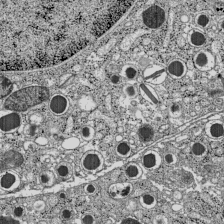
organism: C57BL Mouse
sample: Pancreatic islet